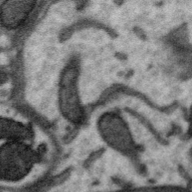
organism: Zebra finch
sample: Brain